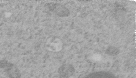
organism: C. elegans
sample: C. elegans embryo early stage